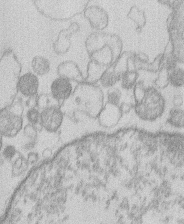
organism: Human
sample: Macrophage cells